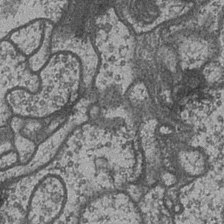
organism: Drosophila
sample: Optic medulla